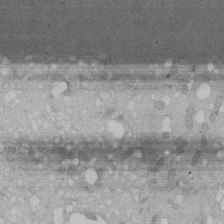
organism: Human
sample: Melanocyte Keratinocyte synapse skin construct